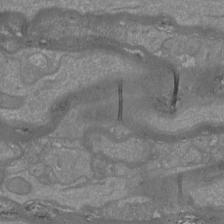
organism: Mouse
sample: Cortical neurons